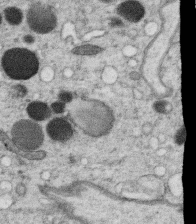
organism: C. elegans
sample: C. elegans oocyte; sperm cells